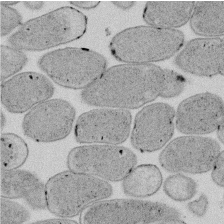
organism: E. coli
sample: Bacterial nucleoid